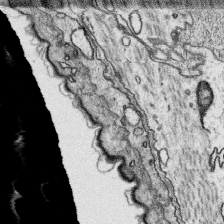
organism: Platynereis dumerilii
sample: Parapodia